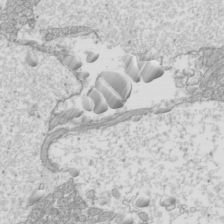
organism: Mouse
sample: Cilia; mouse epididymis